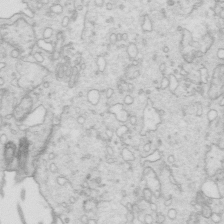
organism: Mouse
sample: Multiciliated cells